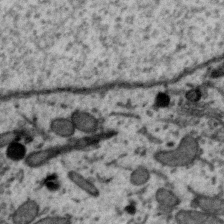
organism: Zebra finch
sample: Brain